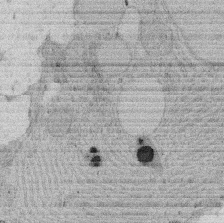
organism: Rat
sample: Salivary granule